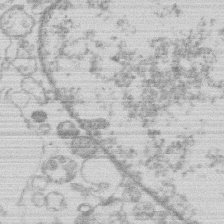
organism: Human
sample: Macrophage cells